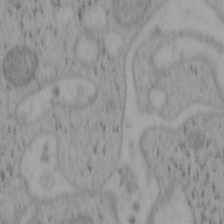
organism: Mouse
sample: OT-I killer T cells with ID8 ovarian cancer cells